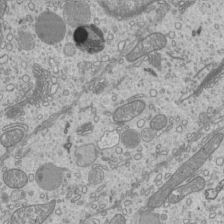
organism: Mouse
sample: Cilia; mouse epididymis